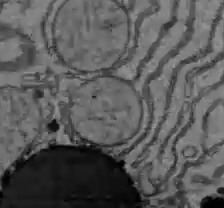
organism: C57BL Mouse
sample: Liver